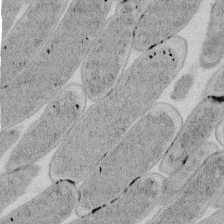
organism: E. coli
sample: Bacterial nucleoid